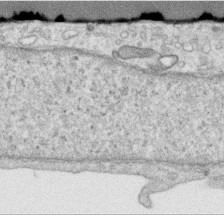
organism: Human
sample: Centriole in RPE cells